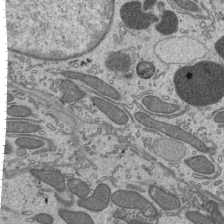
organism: Mouse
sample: Mouse epididymis efferent ductule cilia